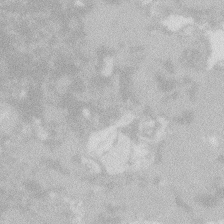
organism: Zebrafish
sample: Macrophage